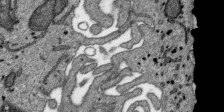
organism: Human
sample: Lung epithelial cells, uninfected (mock) control